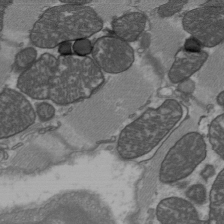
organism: C57BL Mouse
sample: Heart